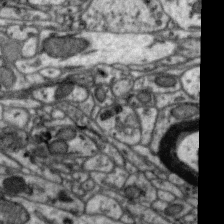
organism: Zebra finch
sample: Brain